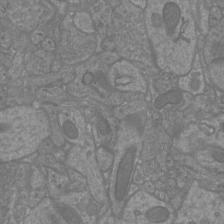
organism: Mouse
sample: Cortical neurons